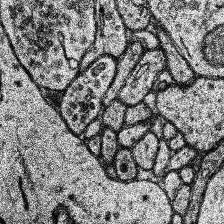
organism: Human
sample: Temporal Lobe